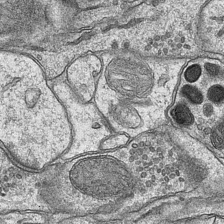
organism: Mouse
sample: CA1 Hippocampus